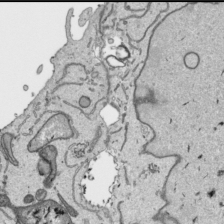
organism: Human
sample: Mitochondria in HCT116 cells